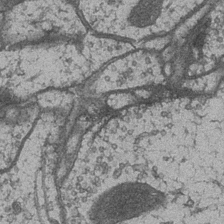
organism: Drosophila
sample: Optic medulla